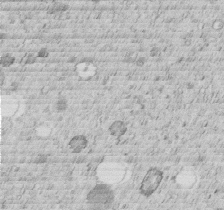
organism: C. elegans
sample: C. elegans embryo early stage